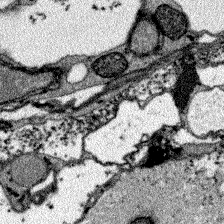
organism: Zebrafish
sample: Larval olfactory bulb